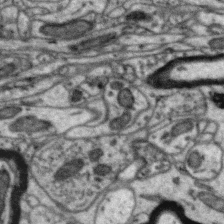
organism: Zebra finch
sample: Brain